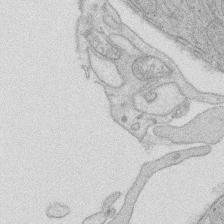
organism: Rat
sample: Salivary granule